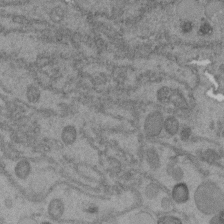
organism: C. elegans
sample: C. elegans embryo early stage